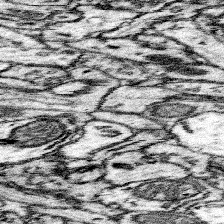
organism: Mouse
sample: Somatosensory cortex neuropil